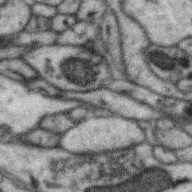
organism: Zebra finch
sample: Brain